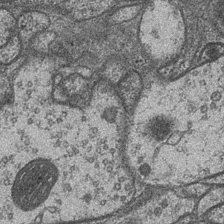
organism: Drosophila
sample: Optic medulla